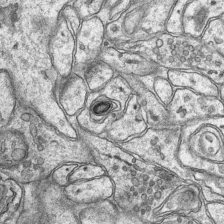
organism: Mouse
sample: CA1 Hippocampus